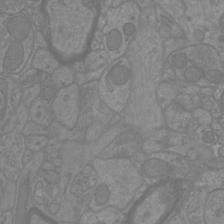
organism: Mouse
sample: Cortical neurons